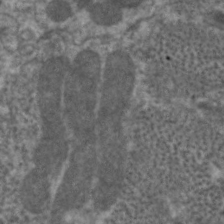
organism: C. elegans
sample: Pharynx